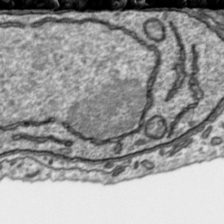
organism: Toxoplasma gondii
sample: Parasites in a vacuole inside a host cell